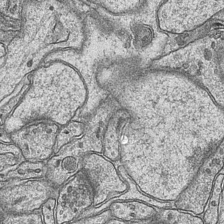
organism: Mouse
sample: CA1 Hippocampus